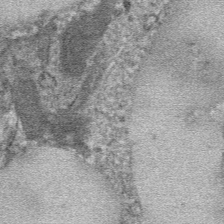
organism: Mouse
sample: Mouse hepatocytes